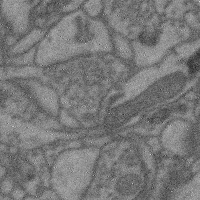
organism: Mouse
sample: Cerebral cortex